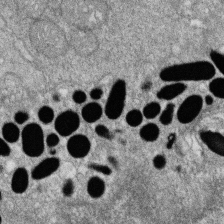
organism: Zebrafish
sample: Cilia; retinal pigment epithelium